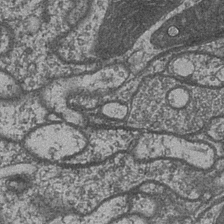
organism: Drosophila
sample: Optic medulla